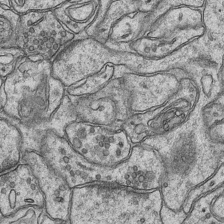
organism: Mouse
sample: CA1 Hippocampus